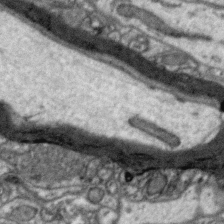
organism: Zebra finch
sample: Brain